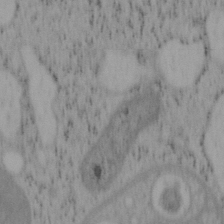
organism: Mouse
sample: OT-I killer T cells with ID8 ovarian cancer cells